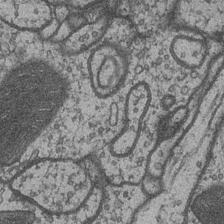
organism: Drosophila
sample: Optic medulla